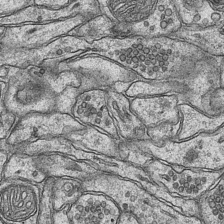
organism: Mouse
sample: CA1 Hippocampus